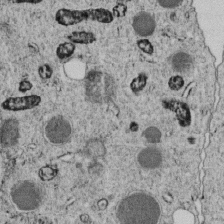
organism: C. elegans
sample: C. elegans embryo early stage